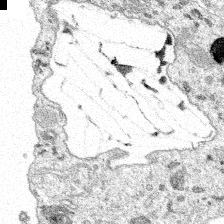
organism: Spongilla lacustris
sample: Multiple